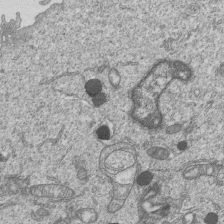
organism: Human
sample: MDA-MB-231 cells